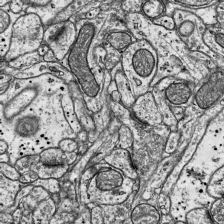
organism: Mouse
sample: Visual Cortex